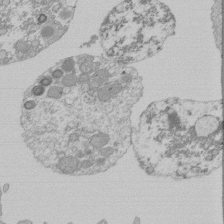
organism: Mouse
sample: Activated Pmel transgenic CD8+ T Cells